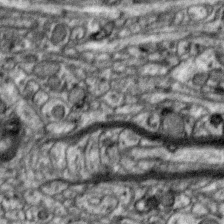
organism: Zebra finch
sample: Brain